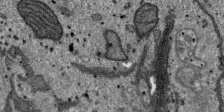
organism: Human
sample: Lung epithelial cells, uninfected (mock) control